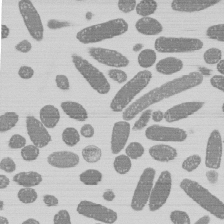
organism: E. coli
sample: Bacterial nucleoid